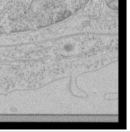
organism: Human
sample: Mitochondria in HCT116 cells